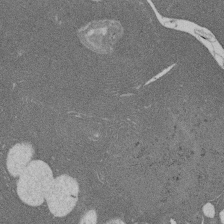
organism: Rat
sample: Salivary granule